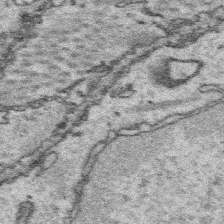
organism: Platynereis dumerilii